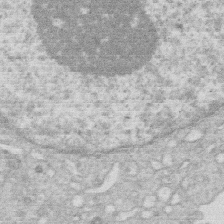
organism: Human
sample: Macrophage cells